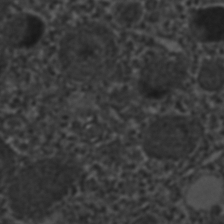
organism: C. elegans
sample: C. elegans embryo